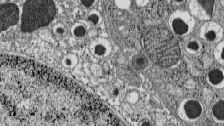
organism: C57BL Mouse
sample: Pancreatic islet